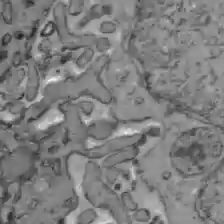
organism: C57BL Mouse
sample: Liver